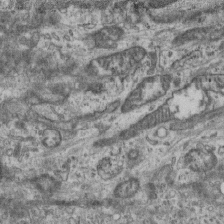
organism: Mouse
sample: Centriole in ependymal cells